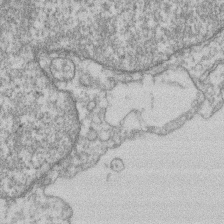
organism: Mouse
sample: T cell stromal cell synapse